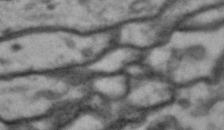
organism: Drosophila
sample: Brain